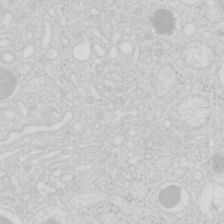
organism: Mouse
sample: Pancreas